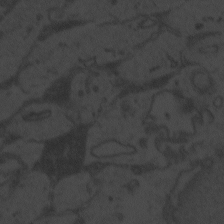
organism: Zebrafish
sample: Macrophage infected with Toxoplasma gondii